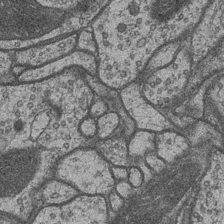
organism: Drosophila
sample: Optic medulla